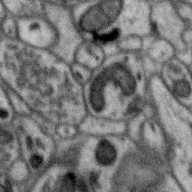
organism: Zebra finch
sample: Brain